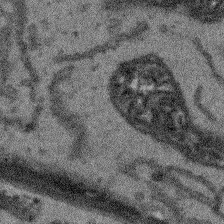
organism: Arabidopsis thaliana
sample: Root tip